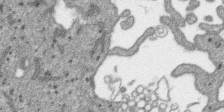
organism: Human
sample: Lung epithelial cells infected with SARS-CoV-2